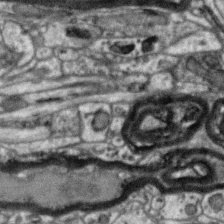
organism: Zebra finch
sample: Brain